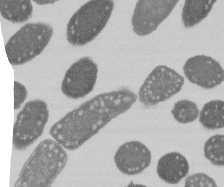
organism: E. coli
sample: Bacterial nucleoid